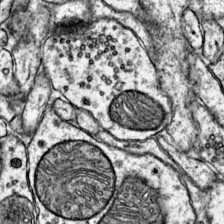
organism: Mouse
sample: Primary visual cortex